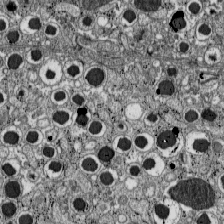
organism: C57BL Mouse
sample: Pancreatic islet